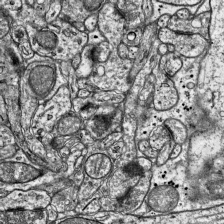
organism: Mouse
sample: Visual Cortex